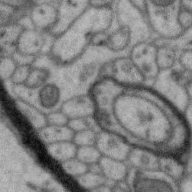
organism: Zebra finch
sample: Brain